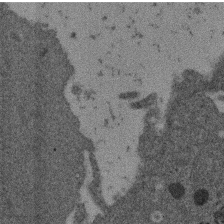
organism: Mouse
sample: Dividing mouse embryo 1 cell stage